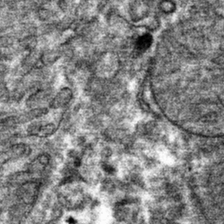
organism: Mouse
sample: Mouse hepatocytes